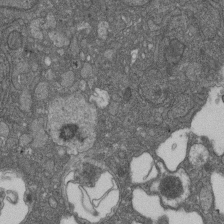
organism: Drosophila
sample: Nephrocyte